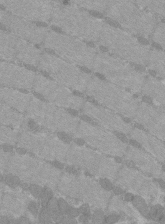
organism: C57BL Mouse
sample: Tibialis anterior muscle cell